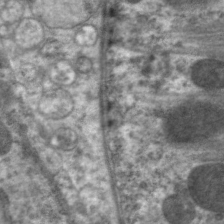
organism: C. elegans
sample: Pharynx